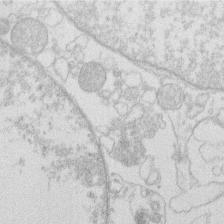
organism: Human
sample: Macrophage cells